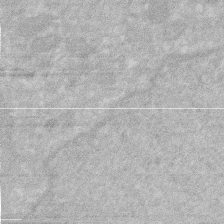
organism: Human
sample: HIV infected U937 cells